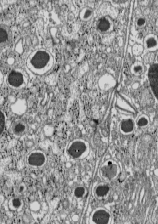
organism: C57BL Mouse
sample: Pancreatic islet